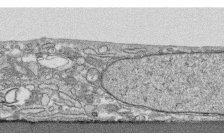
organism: Human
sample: CRL-1474